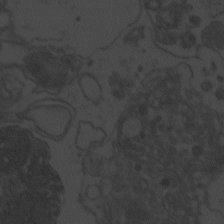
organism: Zebrafish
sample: Macrophage infected with Toxoplasma gondii